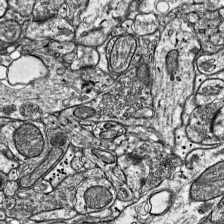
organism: Mouse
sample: Visual Cortex